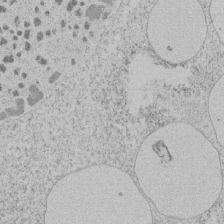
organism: Tetrahymena